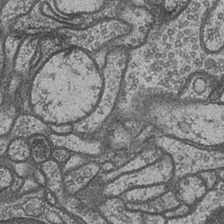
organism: Drosophila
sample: Optic medulla